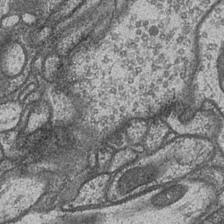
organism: Drosophila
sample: Optic medulla